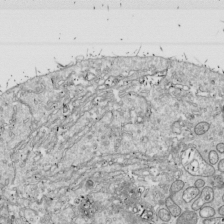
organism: Drosophila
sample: Cell division; meiosis; drosophila spermatocytes